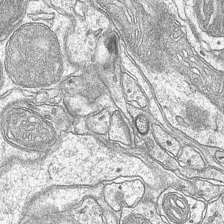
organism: Mouse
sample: CA1 Hippocampus